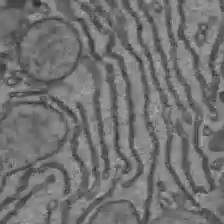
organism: C57BL Mouse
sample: Liver